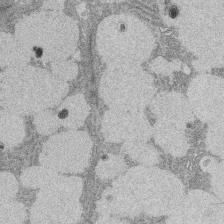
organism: Rat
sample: Salivary granule